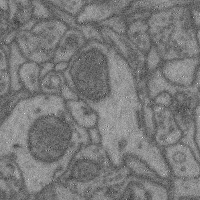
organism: Mouse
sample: Cerebral cortex